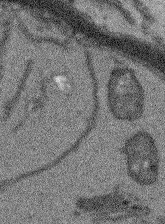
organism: Arabidopsis thaliana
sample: Root tip